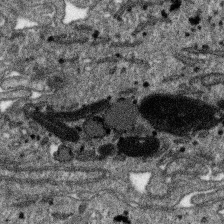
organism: Human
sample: Lung epithelial cells infected with SARS-CoV-2